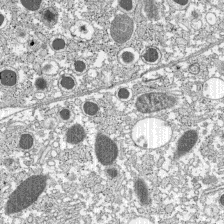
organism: C57BL Mouse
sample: Pancreatic islet